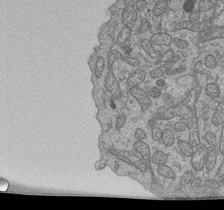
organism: Human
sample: Retinal organoid Rod and Cone cells